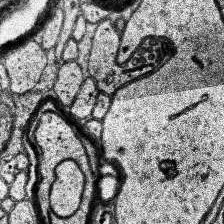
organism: Human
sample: Temporal Lobe